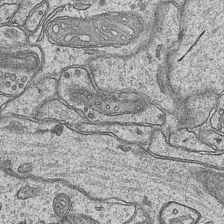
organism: Mouse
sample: CA1 Hippocampus